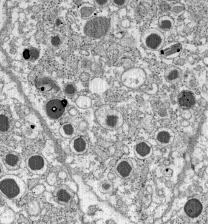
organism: C57BL Mouse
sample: Pancreatic islet